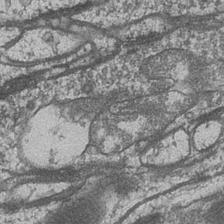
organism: Drosophila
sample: Optic medulla